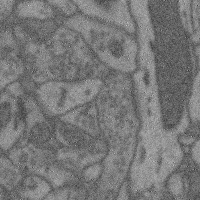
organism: Mouse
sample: Cerebral cortex